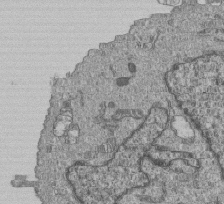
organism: Human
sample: MDA-MB-231 cells